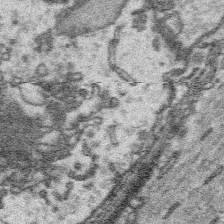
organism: Platynereis dumerilii